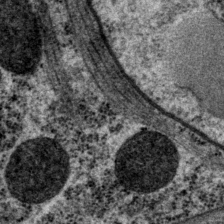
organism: P. pacificus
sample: Pharynx